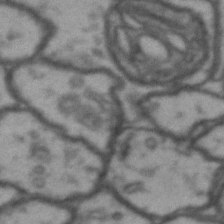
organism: Drosophila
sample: Brain